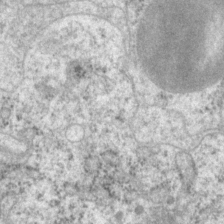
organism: P. pacificus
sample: Pharynx